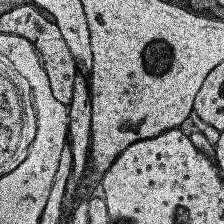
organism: Human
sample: Temporal Lobe